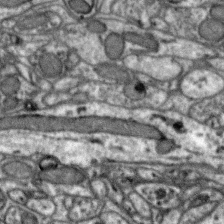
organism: Zebra finch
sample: Brain